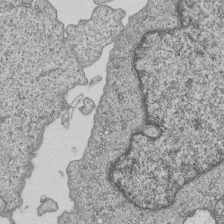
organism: Human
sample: MDA-MB-231 cells